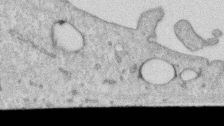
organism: Human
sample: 1205lu cells